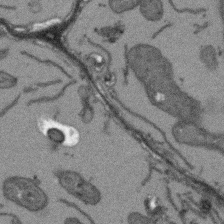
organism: Arabidopsis thaliana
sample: Root tip